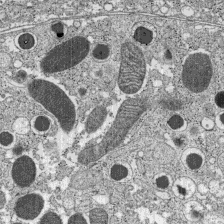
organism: C57BL Mouse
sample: Pancreatic islet